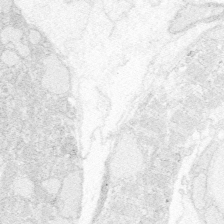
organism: Zebrafish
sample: Whole-Brain